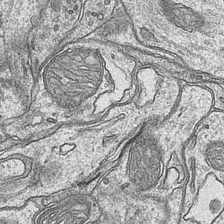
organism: Mouse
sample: CA1 Hippocampus